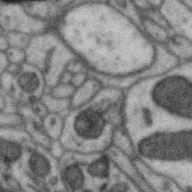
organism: Zebra finch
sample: Brain